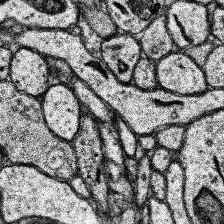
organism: Human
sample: Temporal Lobe